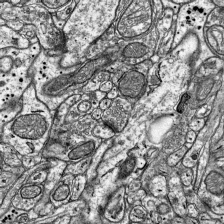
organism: Mouse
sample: Visual Cortex